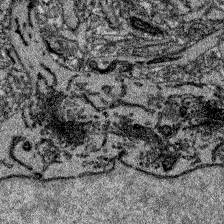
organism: Zebrafish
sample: Larval olfactory bulb